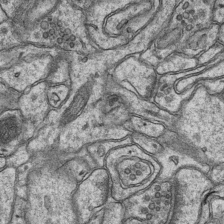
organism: Mouse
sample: CA1 Hippocampus